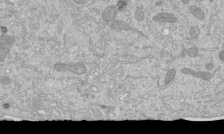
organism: Mouse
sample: ED-1 cell nuclei; centrioles